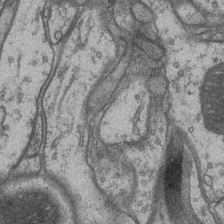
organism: Drosophila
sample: Optic medulla